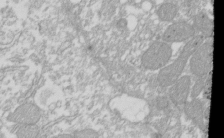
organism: Xenopus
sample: Cilia; centrioles in frog embryo cells